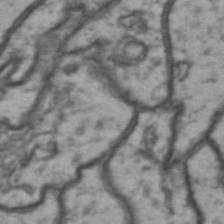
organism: Drosophila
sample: Brain